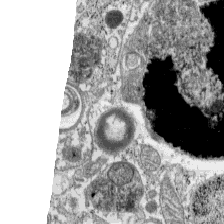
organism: C57BL Mouse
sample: Pancreatic islet